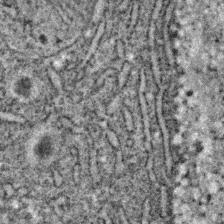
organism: C. elegans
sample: C. elegans embryo